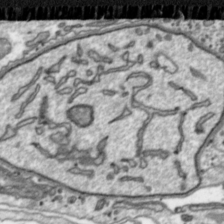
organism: Toxoplasma gondii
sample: Parasites in a vacuole inside a host cell